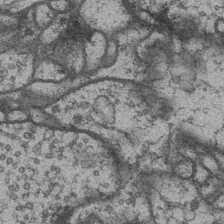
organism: Drosophila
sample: Optic medulla